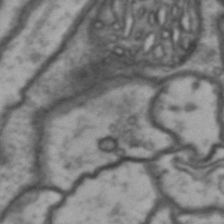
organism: Drosophila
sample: Brain